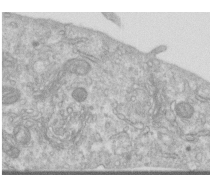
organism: Human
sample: Centriole in RPE cells